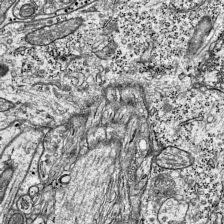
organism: Mouse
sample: Visual Cortex